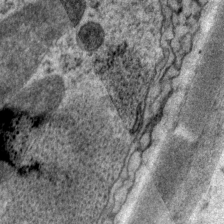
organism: P. pacificus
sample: Pharynx